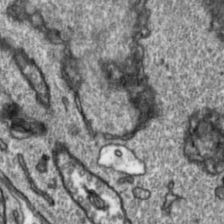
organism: Toxoplasma gondii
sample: Parasites in a vacuole inside a host cell